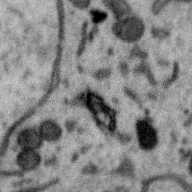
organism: Zebra finch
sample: Brain